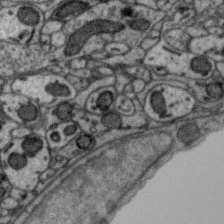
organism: Zebra finch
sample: Brain